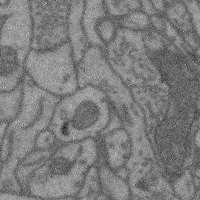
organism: Mouse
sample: Cerebral cortex